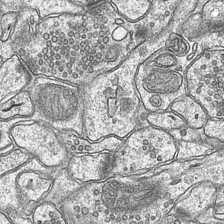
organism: Mouse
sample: CA1 Hippocampus